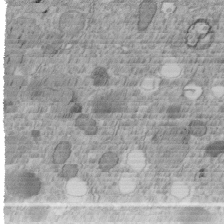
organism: C. elegans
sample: C. elegans embryo early stage